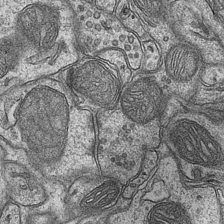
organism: Mouse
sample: CA1 Hippocampus